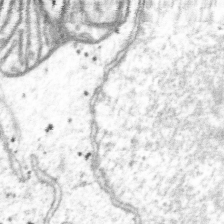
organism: Human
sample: HeLa cells